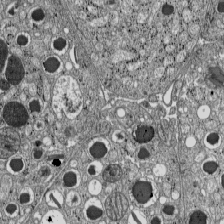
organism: C57BL Mouse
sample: Pancreatic islet